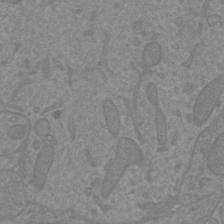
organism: Mouse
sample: Cortical neurons